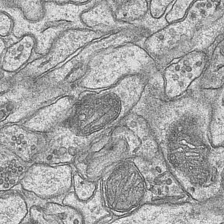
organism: Mouse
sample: CA1 Hippocampus